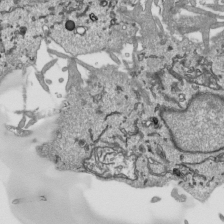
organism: Human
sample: Mitochondria in HCT116 cells